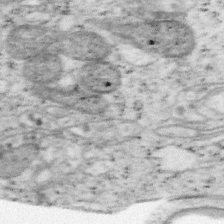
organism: Mouse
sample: OT-I killer T cells with ID8 ovarian cancer cells